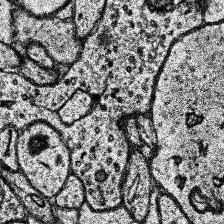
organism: Human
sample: Temporal Lobe